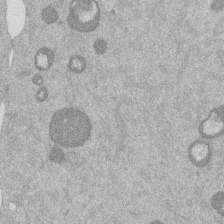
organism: Mouse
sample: Dividing mouse embryo 1 cell stage